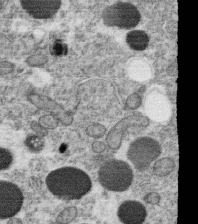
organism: C. elegans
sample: C. elegans oocyte; sperm cells